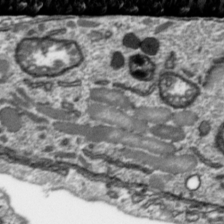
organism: Toxoplasma gondii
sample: Parasites in a vacuole inside a host cell